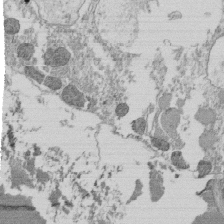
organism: Tetrahymena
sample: Cilia in tetrahymena